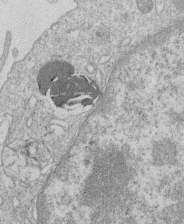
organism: Human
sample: Macrophage cells